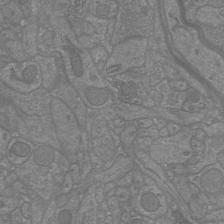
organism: Mouse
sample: Cortical neurons